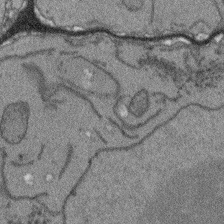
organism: Arabidopsis thaliana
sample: Root tip